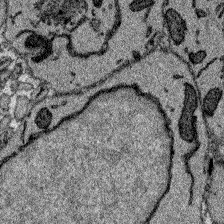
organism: Zebrafish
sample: Larval olfactory bulb